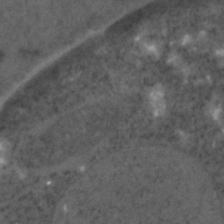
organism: C. elegans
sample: C. elegans embryo